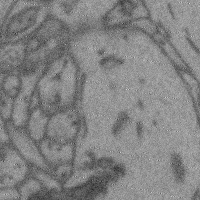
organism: Mouse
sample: Cerebral cortex